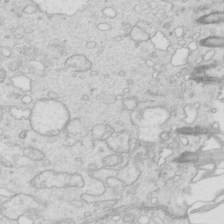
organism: Mouse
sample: Multiciliated cells